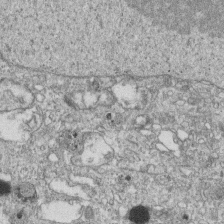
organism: Human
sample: HeLa cell HIV synapse